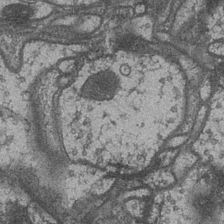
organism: Drosophila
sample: Optic medulla